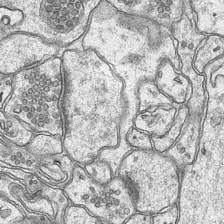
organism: Mouse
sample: CA1 Hippocampus